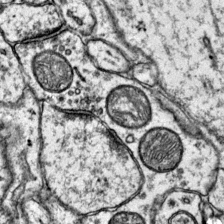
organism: Mouse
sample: Primary visual cortex